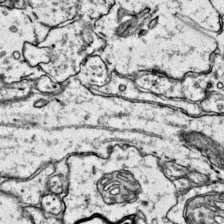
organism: Mouse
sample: Primary visual cortex